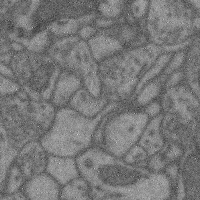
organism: Mouse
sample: Cerebral cortex